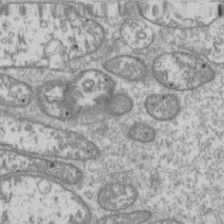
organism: Drosophila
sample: Cell division; meiosis; drosophila spermatocytes